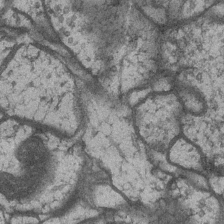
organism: Drosophila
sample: Optic medulla